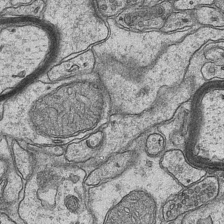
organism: Mouse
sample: CA1 Hippocampus